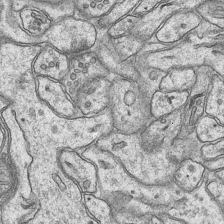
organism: Mouse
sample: CA1 Hippocampus